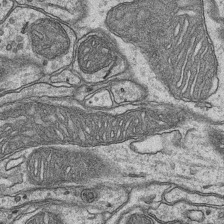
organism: Mouse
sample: CA1 Hippocampus